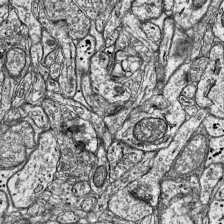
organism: Mouse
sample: Visual Cortex